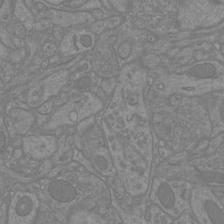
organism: Mouse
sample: Cortical neurons